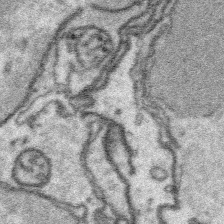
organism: Platynereis dumerilii